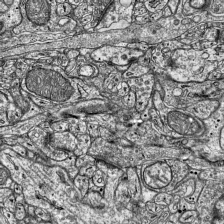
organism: Mouse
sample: Visual Cortex